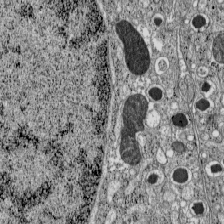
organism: C57BL Mouse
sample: Pancreatic islet